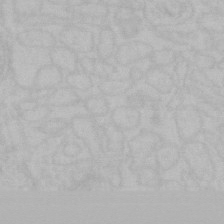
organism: Mouse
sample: Choroid plexus